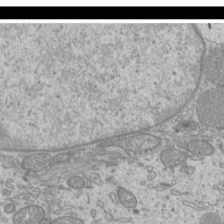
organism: Mouse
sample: Cilia; mouse epididymis